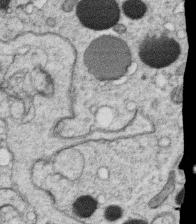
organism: C. elegans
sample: C. elegans oocyte; sperm cells